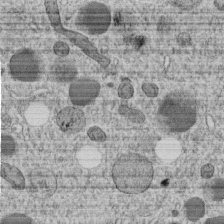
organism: C. elegans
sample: C. elegans embryo early stage